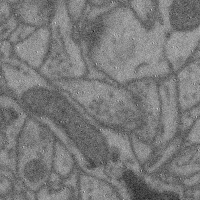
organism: Mouse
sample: Cerebral cortex